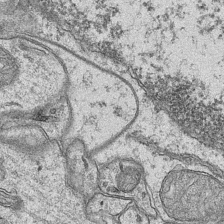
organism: Mouse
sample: CA1 Hippocampus